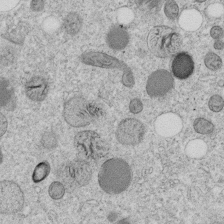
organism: C. elegans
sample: C. elegans embryo early stage